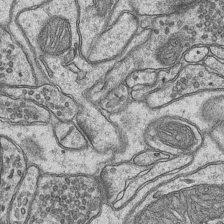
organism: Mouse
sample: CA1 Hippocampus